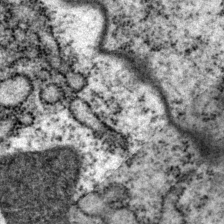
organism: P. pacificus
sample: Pharynx